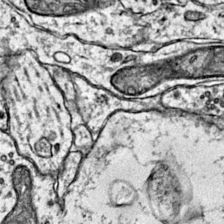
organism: Mouse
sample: Primary visual cortex